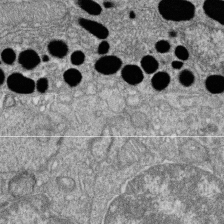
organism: Zebrafish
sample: Cilia; retinal pigment epithelium